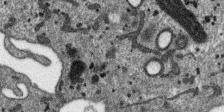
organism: Human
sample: Lung epithelial cells infected with SARS-CoV-2